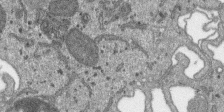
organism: Human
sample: Lung epithelial cells infected with SARS-CoV-2